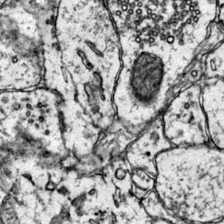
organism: Mouse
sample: Primary visual cortex